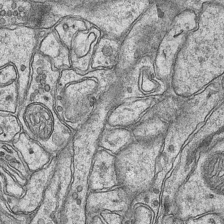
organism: Mouse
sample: CA1 Hippocampus